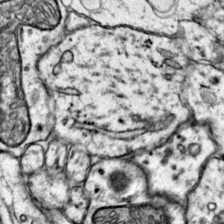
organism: Mouse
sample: Primary visual cortex